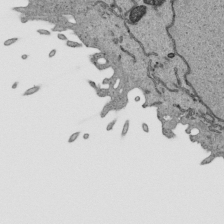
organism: Human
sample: Mitochondria in HCT116 cells